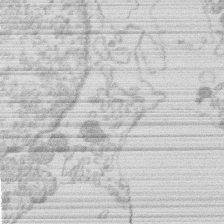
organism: Human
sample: Macrophage cells